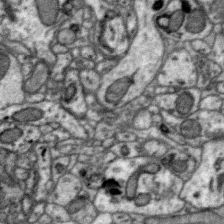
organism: Zebra finch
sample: Brain